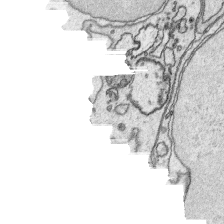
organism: Platynereis dumerilii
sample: Parapodia